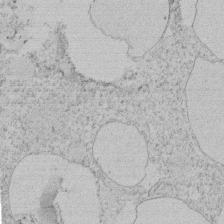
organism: Tetrahymena